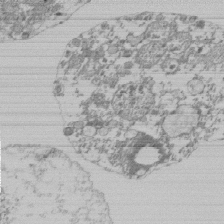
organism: Mouse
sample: Activated Pmel transgenic CD8+ T Cells